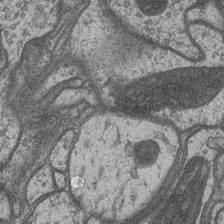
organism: Drosophila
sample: Optic medulla